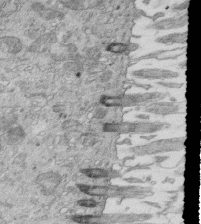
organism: Mouse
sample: Multiciliated cells